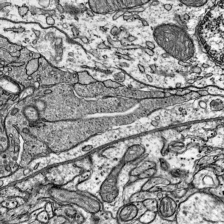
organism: Mouse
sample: Visual Cortex